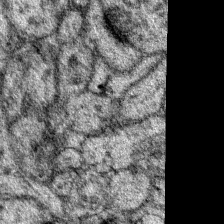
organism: Mouse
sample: Primary visual cortex